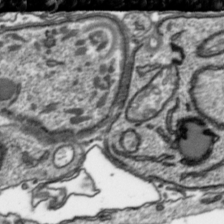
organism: Toxoplasma gondii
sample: Parasites in a vacuole inside a host cell